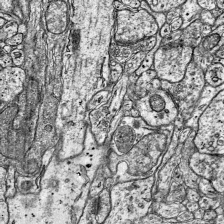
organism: Mouse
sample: Visual Cortex